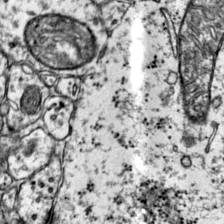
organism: Mouse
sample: Primary visual cortex